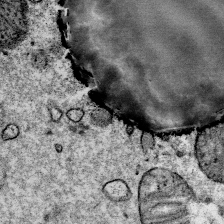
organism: Mouse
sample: Mouse Salivary gland